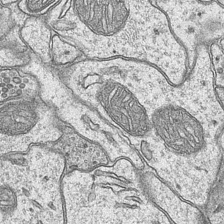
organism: Mouse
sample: CA1 Hippocampus